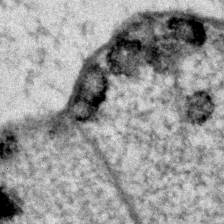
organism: Human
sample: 1205lu cells